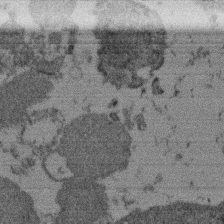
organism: Mouse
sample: Dividing mouse embryo 1 cell stage